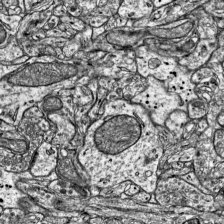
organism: Mouse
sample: Visual Cortex